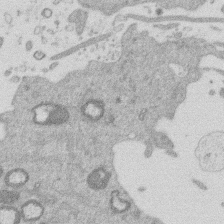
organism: Mouse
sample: Dividing mouse embryo 1 cell stage